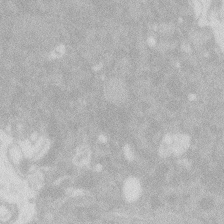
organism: Zebrafish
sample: Macrophage